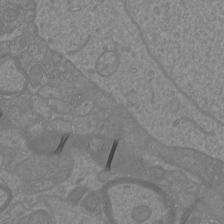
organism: Mouse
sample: Cortical neurons